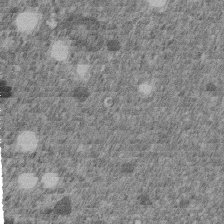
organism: C. elegans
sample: C. elegans embryo early stage